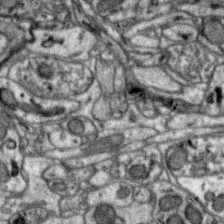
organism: Zebra finch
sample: Brain